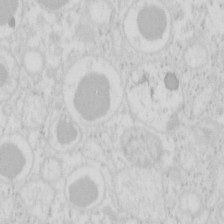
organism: Mouse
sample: Pancreas